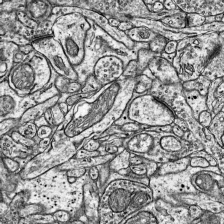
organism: Mouse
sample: Visual Cortex